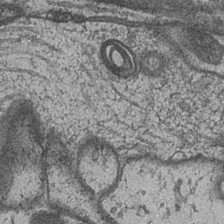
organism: Drosophila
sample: Optic medulla